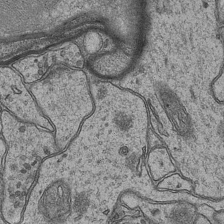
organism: Mouse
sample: CA1 Hippocampus